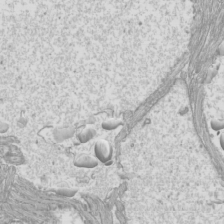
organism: Mouse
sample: Cilia; mouse epididymis